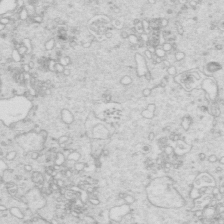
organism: Mouse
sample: Multiciliated cells